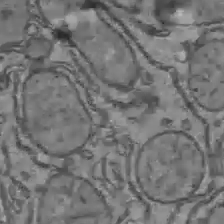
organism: C57BL Mouse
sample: Liver